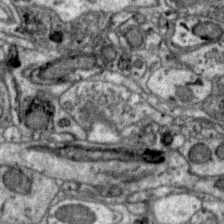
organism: Zebra finch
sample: Brain